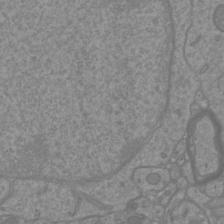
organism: Mouse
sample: Cortical neurons